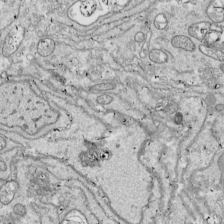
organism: Drosophila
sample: Cell division; meiosis; drosophila spermatocytes